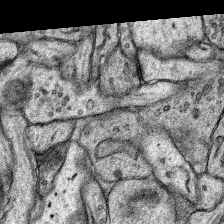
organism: Rat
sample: Hippocampus